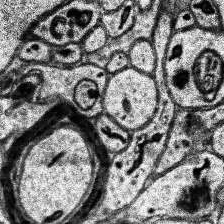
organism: Human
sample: Temporal Lobe